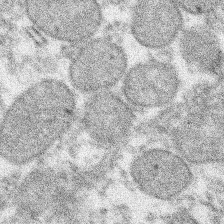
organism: Xenopus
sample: Cilia; centrioles in frog embryo cells